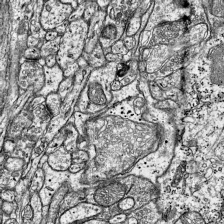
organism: Mouse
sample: Visual Cortex